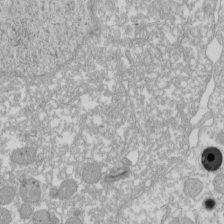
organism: Xenopus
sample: Cilia; centrioles in frog embryo cells